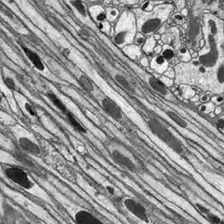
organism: Drosophila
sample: Optic lobe